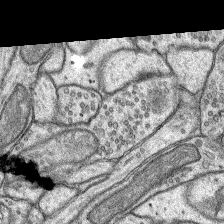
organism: Rat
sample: Hippocampus